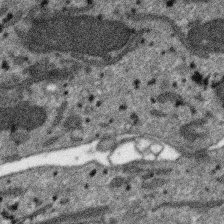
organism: Human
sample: Lung epithelial cells infected with SARS-CoV-2